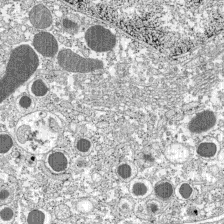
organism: C57BL Mouse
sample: Pancreatic islet